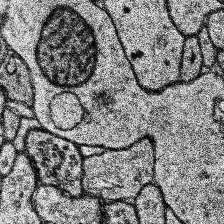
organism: Human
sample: Temporal Lobe